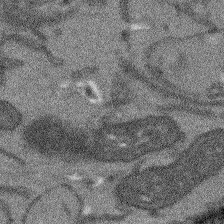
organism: Arabidopsis thaliana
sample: Root tip